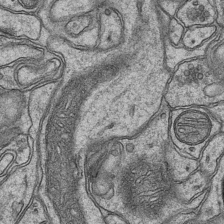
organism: Mouse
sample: CA1 Hippocampus